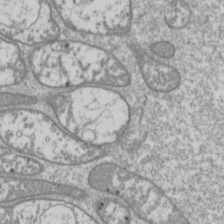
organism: Drosophila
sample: Cell division; meiosis; drosophila spermatocytes